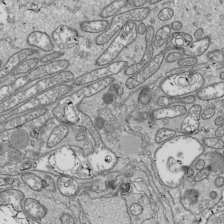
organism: Drosophila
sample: Cell division; meiosis; drosophila spermatocytes